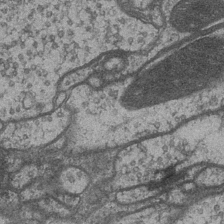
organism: Drosophila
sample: Optic medulla